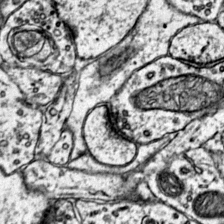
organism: Mouse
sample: Primary visual cortex